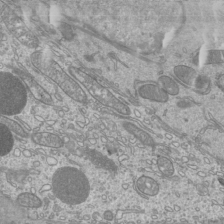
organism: Mouse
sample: Cilia; mouse epididymis